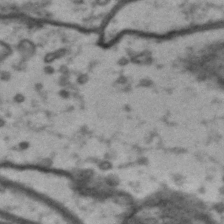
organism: Drosophila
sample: Brain